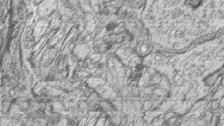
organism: Zebrafish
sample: synaptic ribbons in rod cells and cone cells